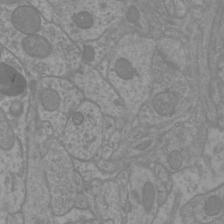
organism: Mouse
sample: Cortical neurons